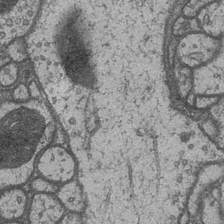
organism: Drosophila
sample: Optic medulla